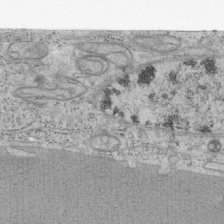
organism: Human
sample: HeLa cells